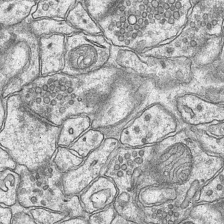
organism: Mouse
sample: CA1 Hippocampus